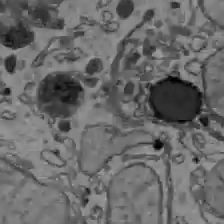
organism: C57BL Mouse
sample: Liver